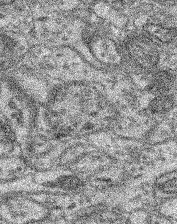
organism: Mouse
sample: Retina